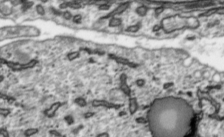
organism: Toxoplasma gondii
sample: Parasites in a vacuole inside a host cell